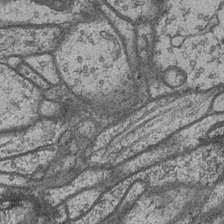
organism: Drosophila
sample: Optic medulla